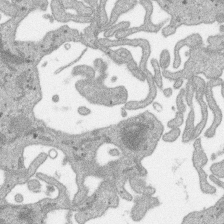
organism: Human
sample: Lung epithelial cells infected with SARS-CoV-2